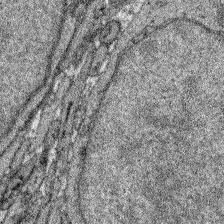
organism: Zebrafish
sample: Larval olfactory bulb